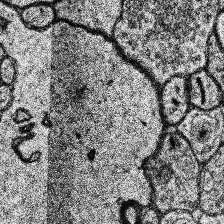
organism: Human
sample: Temporal Lobe